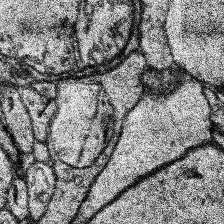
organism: Human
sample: Temporal Lobe